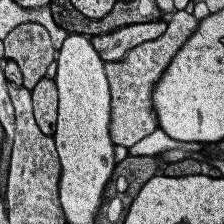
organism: Human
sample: Temporal Lobe